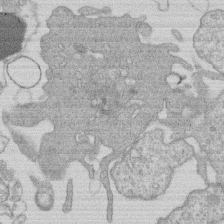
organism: Human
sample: Macrophage cells